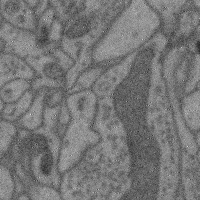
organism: Mouse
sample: Cerebral cortex